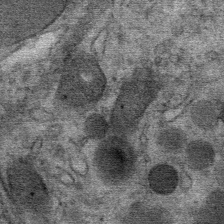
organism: Mouse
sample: Mouse Salivary gland